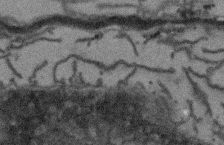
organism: Arabidopsis thaliana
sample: Root tip